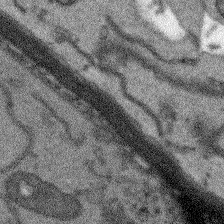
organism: Arabidopsis thaliana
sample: Root tip